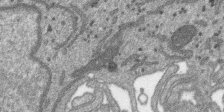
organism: Human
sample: Lung epithelial cells infected with SARS-CoV-2